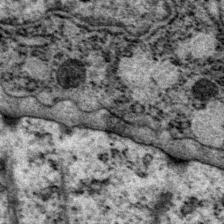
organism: P. pacificus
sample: Pharynx